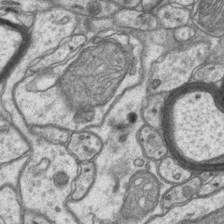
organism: Mouse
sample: CA1 Hippocampus